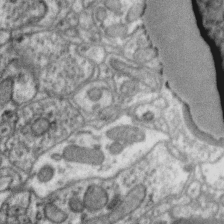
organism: Zebra finch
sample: Brain